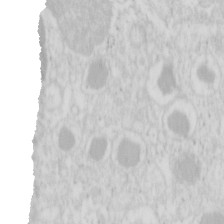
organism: Mouse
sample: Pancreas